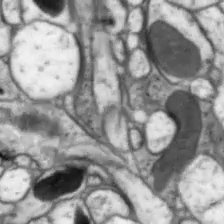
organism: Drosophila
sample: Optic lobe